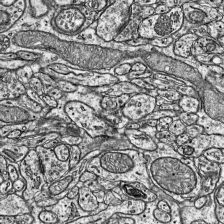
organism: Mouse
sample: Visual Cortex